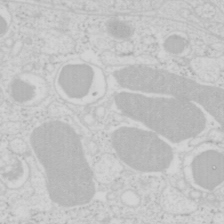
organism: Mouse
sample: Pancreas